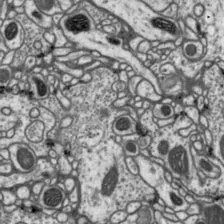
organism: Drosophila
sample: Protocerebral bridge